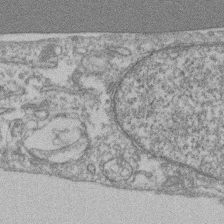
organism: Mouse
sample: T cell stromal cell synapse